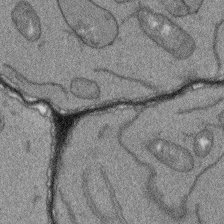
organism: Arabidopsis thaliana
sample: Root tip